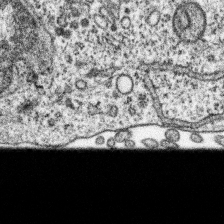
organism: Human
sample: HeLa cells